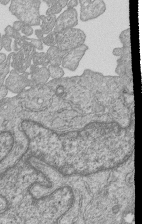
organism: Human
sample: MDA-MB-231 cells